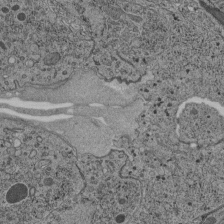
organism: C. elegans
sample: C. elegans pharynx